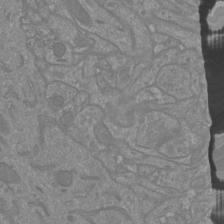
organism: Mouse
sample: Cortical neurons